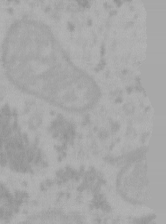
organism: Mouse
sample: Choroid plexus